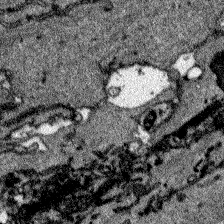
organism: Zebrafish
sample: Larval olfactory bulb